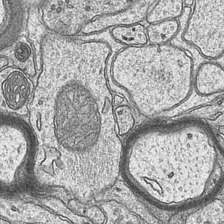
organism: Mouse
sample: CA1 Hippocampus